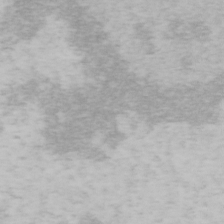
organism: Mouse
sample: OT-I killer T cells with ID8 ovarian cancer cells